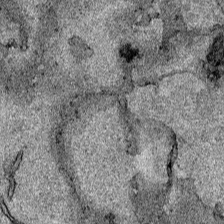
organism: Human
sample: Mitochondria in HCT116 cells